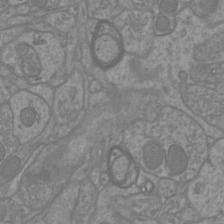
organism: Mouse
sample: Cortical neurons